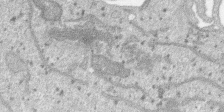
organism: Human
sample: Lung epithelial cells infected with SARS-CoV-2